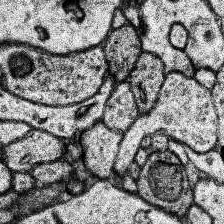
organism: Human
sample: Temporal Lobe